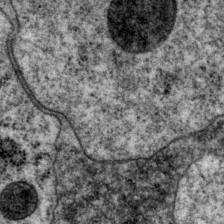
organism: P. pacificus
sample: Pharynx